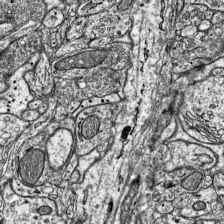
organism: Mouse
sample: Visual Cortex